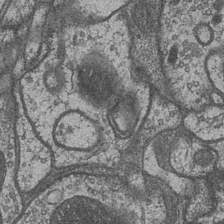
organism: Drosophila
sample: Optic medulla